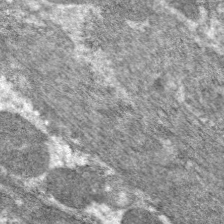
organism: C. elegans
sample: Pharynx